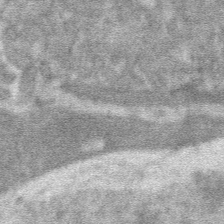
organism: Mouse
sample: Mouse hepatocytes